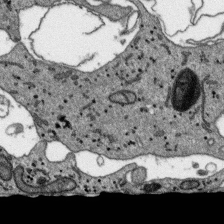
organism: Human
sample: Lung epithelial cells, uninfected (mock) control